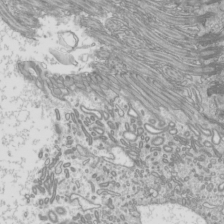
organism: Mouse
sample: Cilia; mouse epididymis